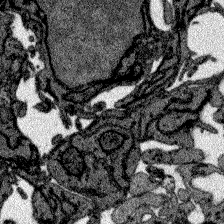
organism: Zebrafish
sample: Larval olfactory bulb